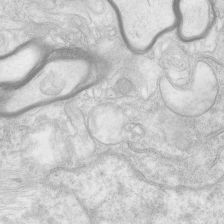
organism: Human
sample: Neocortex